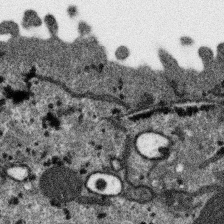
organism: Human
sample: Lung epithelial cells infected with SARS-CoV-2